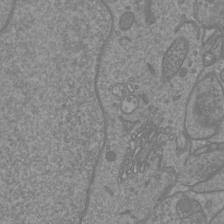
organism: Mouse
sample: Cortical neurons